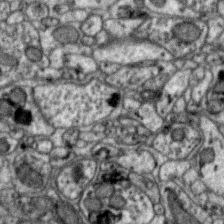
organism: Zebra finch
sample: Brain